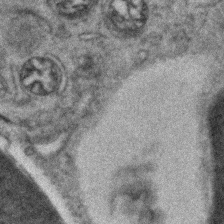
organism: Zebrafish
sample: Zebrafish embryo